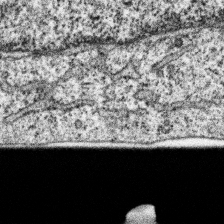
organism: Human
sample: HeLa cells